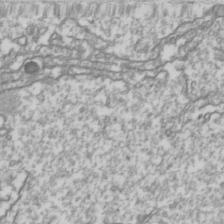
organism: Drosophila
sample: Cell division; meiosis; drosophila spermatocytes